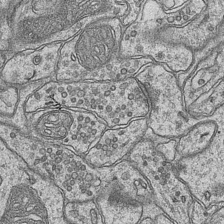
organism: Mouse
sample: CA1 Hippocampus